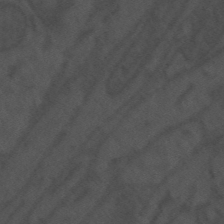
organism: Mouse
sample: Suprachiasmatic nucleus